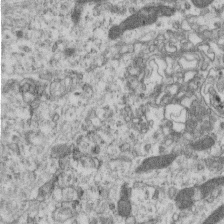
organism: Mouse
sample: Centriole in ependymal cells